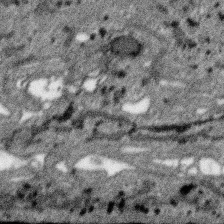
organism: Human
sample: Lung epithelial cells infected with SARS-CoV-2